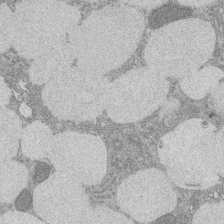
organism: Rat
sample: Salivary granule